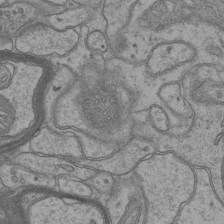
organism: Mouse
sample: CA1 Hippocampus